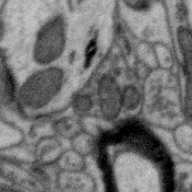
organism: Zebra finch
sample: Brain